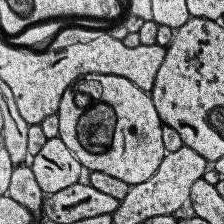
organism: Human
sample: Temporal Lobe